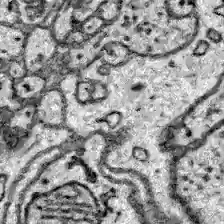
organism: Zebrafish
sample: Brain